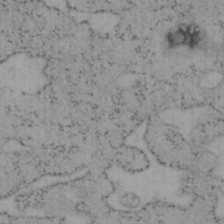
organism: Mouse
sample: OT-I killer T cells with ID8 ovarian cancer cells